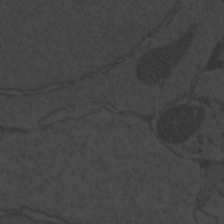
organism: Zebrafish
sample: Macrophage infected with Toxoplasma gondii